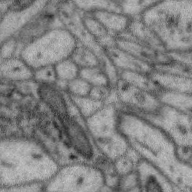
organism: Zebra finch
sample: Brain